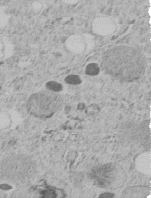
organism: C. elegans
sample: C. elegans embryo early stage